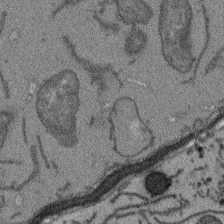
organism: Arabidopsis thaliana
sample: Root tip